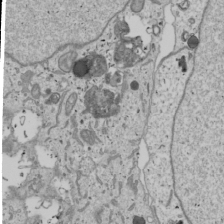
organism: Human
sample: Mitochondria in U2OS cells